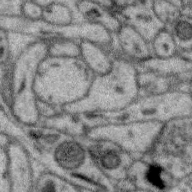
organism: Zebra finch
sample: Brain